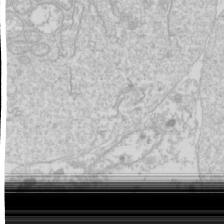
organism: Drosophila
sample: Cell division; meiosis; drosophila spermatocytes